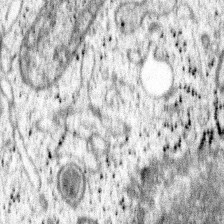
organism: Human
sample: HeLa cells